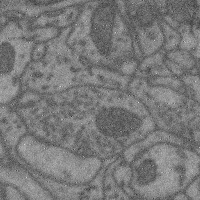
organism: Mouse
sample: Cerebral cortex